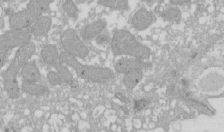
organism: Xenopus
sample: Cilia; centrioles in frog embryo cells